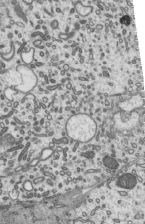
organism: Mouse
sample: Mouse epididymis efferent ductule cilia